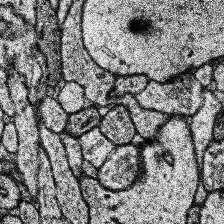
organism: Human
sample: Temporal Lobe